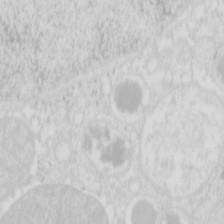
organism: Mouse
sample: Pancreas